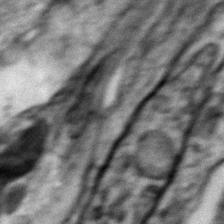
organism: Zebrafish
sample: Zebrafish embryo